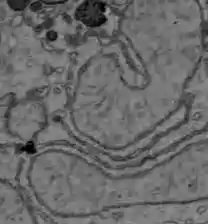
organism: C57BL Mouse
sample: Liver